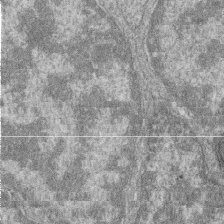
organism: Zebrafish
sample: Cilia; retinal pigment epithelium